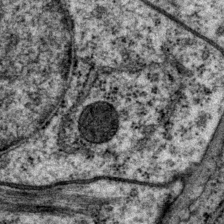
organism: P. pacificus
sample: Pharynx